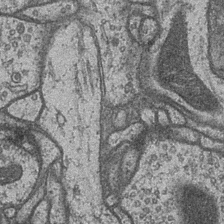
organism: Drosophila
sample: Optic medulla